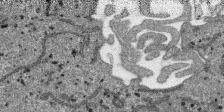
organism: Human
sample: Lung epithelial cells infected with SARS-CoV-2